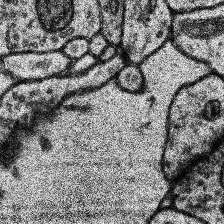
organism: Human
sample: Temporal Lobe